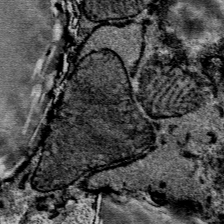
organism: Mouse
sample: Mouse Salivary gland